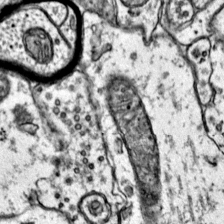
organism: Mouse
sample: Primary visual cortex